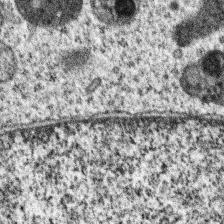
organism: Human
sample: HeLa cells